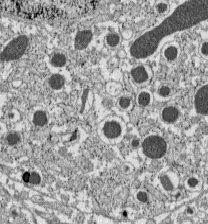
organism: C57BL Mouse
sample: Pancreatic islet